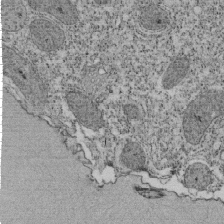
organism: Tetrahymena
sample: Cilia in tetrahymena